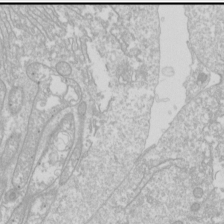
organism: Drosophila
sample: Cell division; meiosis; drosophila spermatocytes